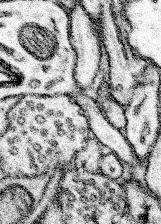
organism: Mouse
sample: Somatosensory cortex neuropil